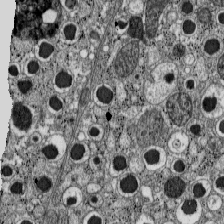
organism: C57BL Mouse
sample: Pancreatic islet